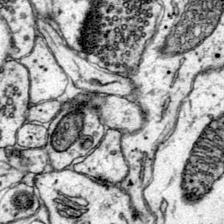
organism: Mouse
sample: Primary visual cortex